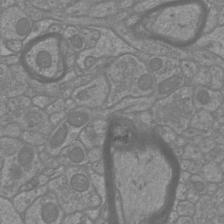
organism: Mouse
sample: Cortical neurons